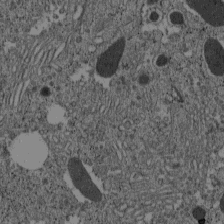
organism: C57BL Mouse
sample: Pancreatic islet